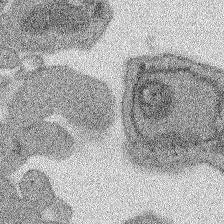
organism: Human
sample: HeLa cells